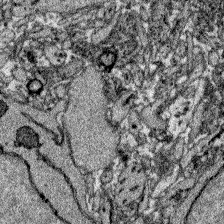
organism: Zebrafish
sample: Larval olfactory bulb